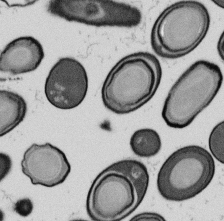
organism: B. subtilis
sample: Bacterial spore